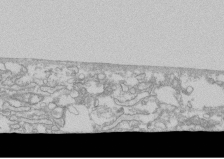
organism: Human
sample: CRL-1474